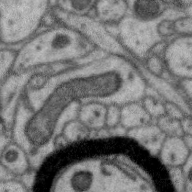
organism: Zebra finch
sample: Brain